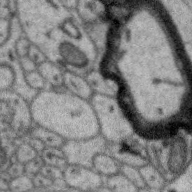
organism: Zebra finch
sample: Brain